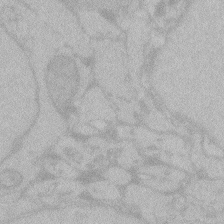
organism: Zebrafish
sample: Macrophage infected with Toxoplasma gondii